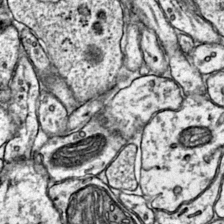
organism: Mouse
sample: Primary visual cortex